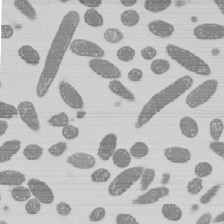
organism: E. coli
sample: Bacterial nucleoid